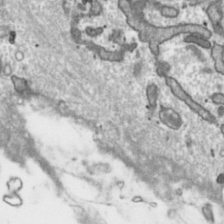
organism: Toxoplasma gondii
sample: Parasites in a vacuole inside a host cell